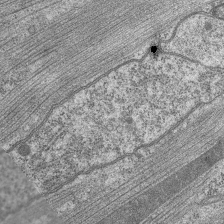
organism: C. elegans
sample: Pharynx